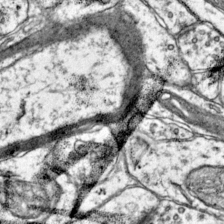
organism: Mouse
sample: Primary visual cortex